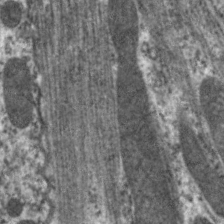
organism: C. elegans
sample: Pharynx